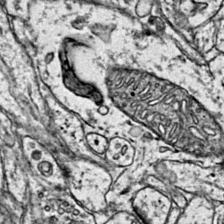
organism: Mouse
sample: Primary visual cortex